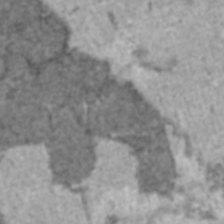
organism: C57BL Mouse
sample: Heart